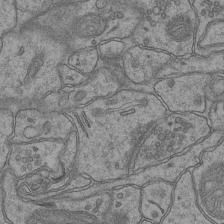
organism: Mouse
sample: CA1 Hippocampus